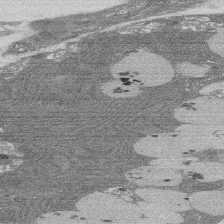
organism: Rat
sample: Salivary granule